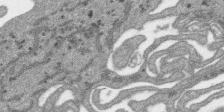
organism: Human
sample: Lung epithelial cells infected with SARS-CoV-2